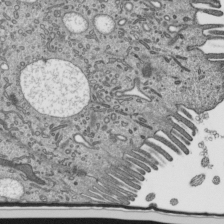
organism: Mouse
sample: Mouse epididymis efferent ductule cilia